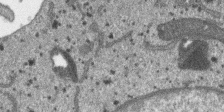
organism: Human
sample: Lung epithelial cells infected with SARS-CoV-2